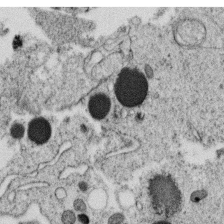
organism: C. elegans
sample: C. elegans oocyte; sperm cells